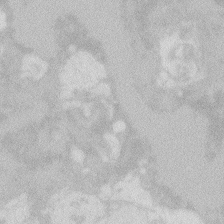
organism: Zebrafish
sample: Macrophage